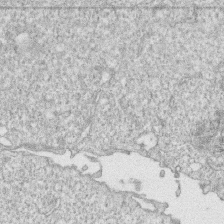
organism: Human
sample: HeLa cell HIV synapse